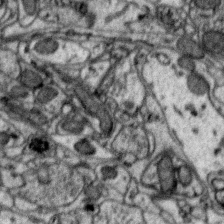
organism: Zebra finch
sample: Brain